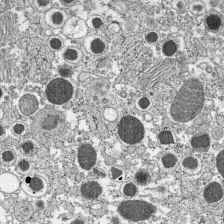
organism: C57BL Mouse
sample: Pancreatic islet